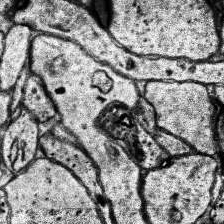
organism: Human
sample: Temporal Lobe